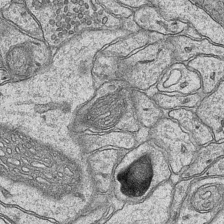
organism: Mouse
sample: CA1 Hippocampus